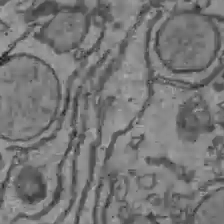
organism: C57BL Mouse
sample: Liver